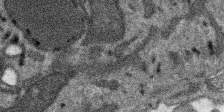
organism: Human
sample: Lung epithelial cells infected with SARS-CoV-2